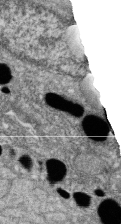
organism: Zebrafish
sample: Cilia; retinal pigment epithelium